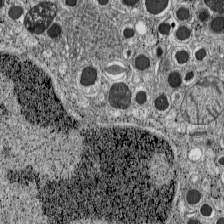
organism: C57BL Mouse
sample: Pancreatic islet